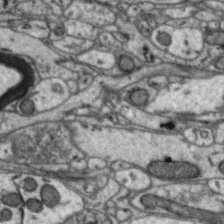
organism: Zebra finch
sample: Brain